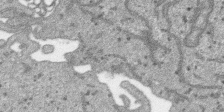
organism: Human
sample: Lung epithelial cells infected with SARS-CoV-2